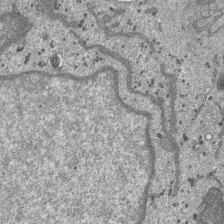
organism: Human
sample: Lung epithelial cells infected with SARS-CoV-2